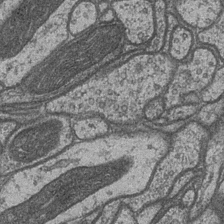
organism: Drosophila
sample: Optic medulla